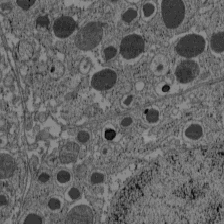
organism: C57BL Mouse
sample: Pancreatic islet